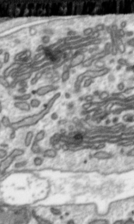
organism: Toxoplasma gondii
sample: Parasites in a vacuole inside a host cell